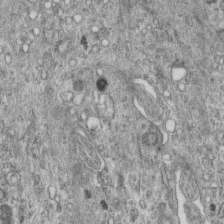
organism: Mouse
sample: Centriole in ependymal cells